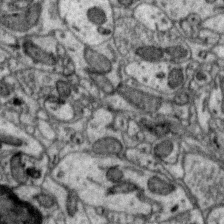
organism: Zebra finch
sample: Brain